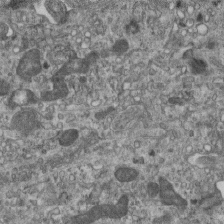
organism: Mouse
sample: Centriole in ependymal cells